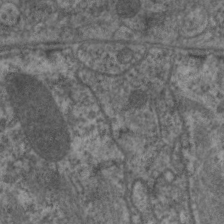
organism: C. elegans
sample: Pharynx